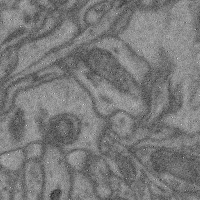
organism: Mouse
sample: Cerebral cortex